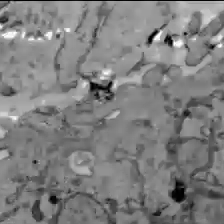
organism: C57BL Mouse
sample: Liver